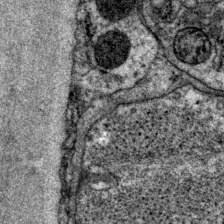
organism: P. pacificus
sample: Pharynx